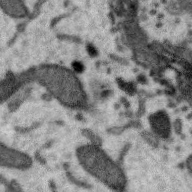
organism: Zebra finch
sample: Brain